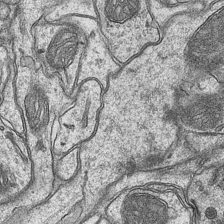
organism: Mouse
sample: CA1 Hippocampus